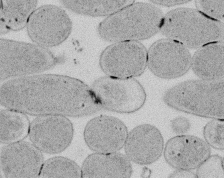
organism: E. coli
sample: Bacterial nucleoid